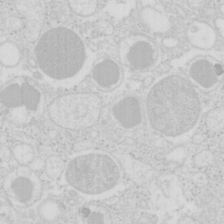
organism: Mouse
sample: Pancreas